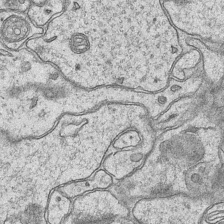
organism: Mouse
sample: CA1 Hippocampus